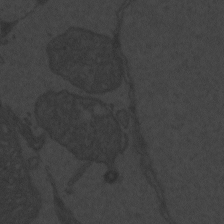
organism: Zebrafish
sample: Macrophage infected with Toxoplasma gondii